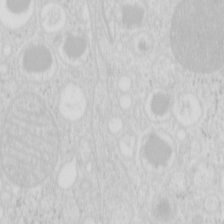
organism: Mouse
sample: Pancreas